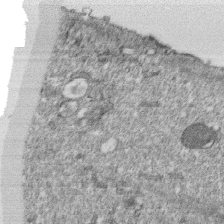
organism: African green monkey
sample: Vero E6 cells infected with SARS-CoV-2